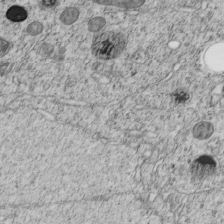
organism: C. elegans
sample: C. elegans embryo early stage